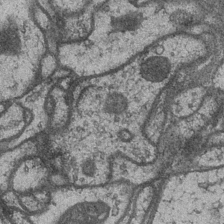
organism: Drosophila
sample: Optic medulla